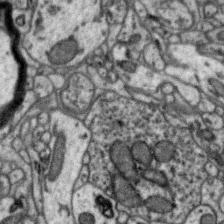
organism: Zebra finch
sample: Brain